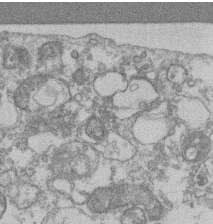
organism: Mouse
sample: T cell stromal cell synapse